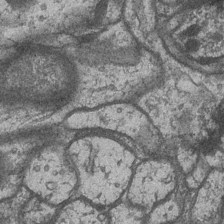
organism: Drosophila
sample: Optic medulla